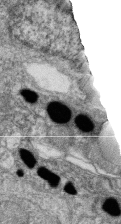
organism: Zebrafish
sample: Cilia; retinal pigment epithelium